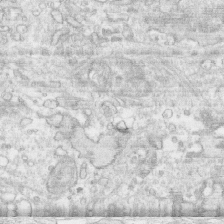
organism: Human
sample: CRL-1474